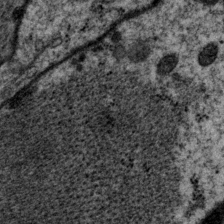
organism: P. pacificus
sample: Pharynx